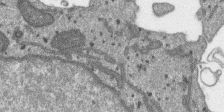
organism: Human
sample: Lung epithelial cells infected with SARS-CoV-2